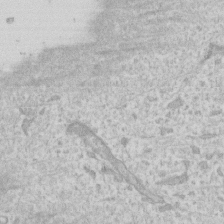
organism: Human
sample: Fibroblast cells